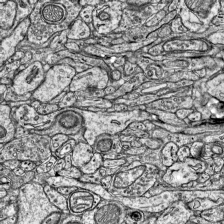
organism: Mouse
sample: Visual Cortex